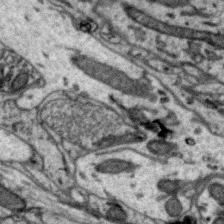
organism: Zebra finch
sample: Brain